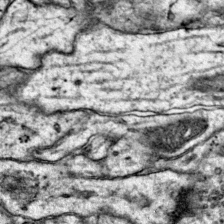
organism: Mouse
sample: Primary visual cortex